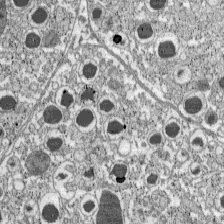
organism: C57BL Mouse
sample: Pancreatic islet